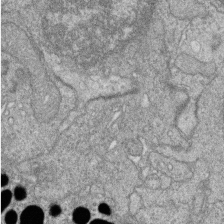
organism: Zebrafish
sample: Cilia; retinal pigment epithelium